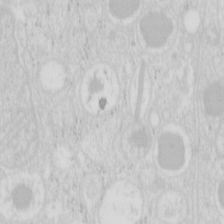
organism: Mouse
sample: Pancreas